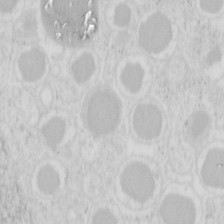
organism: Mouse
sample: Pancreas